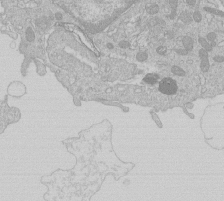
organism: Human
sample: Macrophage cells